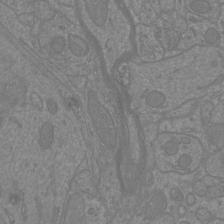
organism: Mouse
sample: Cortical neurons